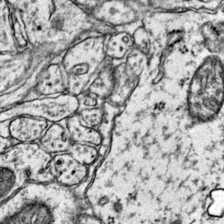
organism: Mouse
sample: Primary visual cortex